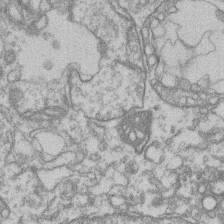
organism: Mouse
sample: T cell stromal cell synapse